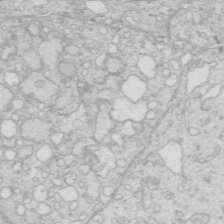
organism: Mouse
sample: Multiciliated cells